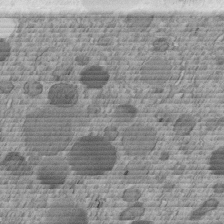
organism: C. elegans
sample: C. elegans embryo early stage